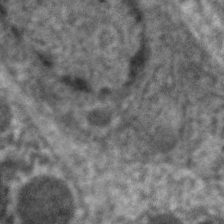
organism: C. elegans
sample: Pharynx